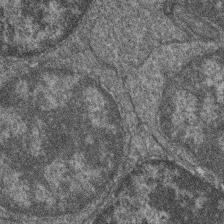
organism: Zebrafish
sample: Cilia; retinal pigment epithelium